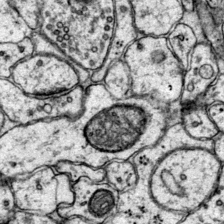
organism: Mouse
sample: Primary visual cortex